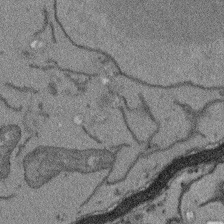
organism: Arabidopsis thaliana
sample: Root tip